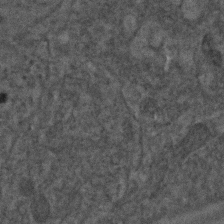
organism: C. elegans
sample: C. elegans embryo